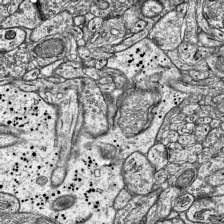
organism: Mouse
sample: Visual Cortex